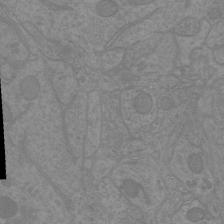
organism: Mouse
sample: Cortical neurons